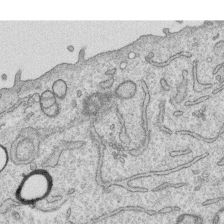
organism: Human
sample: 1205lu cells